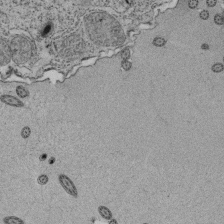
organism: Tetrahymena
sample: Cilia in tetrahymena